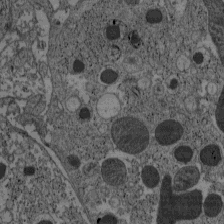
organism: C57BL Mouse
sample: Pancreatic islet